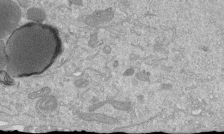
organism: Mouse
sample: ED-1 cell nuclei; centrioles